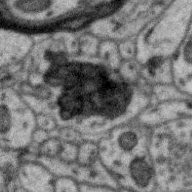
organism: Zebra finch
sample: Brain